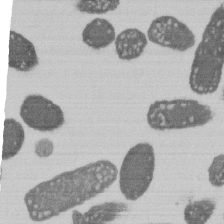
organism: E. coli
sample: Bacterial nucleoid